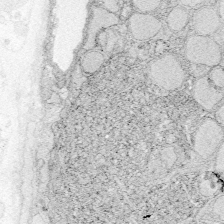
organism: Zebrafish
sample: Whole-Brain